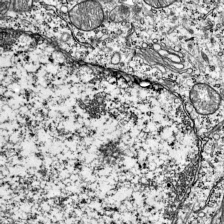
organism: Mouse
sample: Visual Cortex